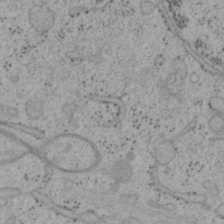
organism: Human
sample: HeLa cells